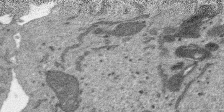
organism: Human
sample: Lung epithelial cells infected with SARS-CoV-2